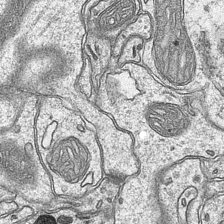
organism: Mouse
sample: CA1 Hippocampus